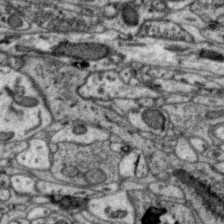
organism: Zebra finch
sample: Brain